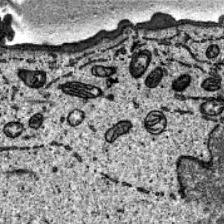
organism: Human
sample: HeLa cells